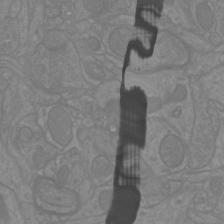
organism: Mouse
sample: Cortical neurons